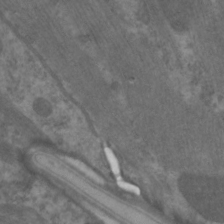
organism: C. elegans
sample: Pharynx